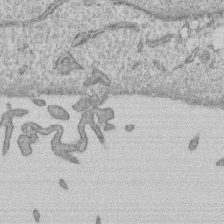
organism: Human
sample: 1205lu cells